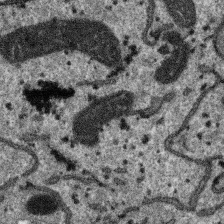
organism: Human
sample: Lung epithelial cells infected with SARS-CoV-2